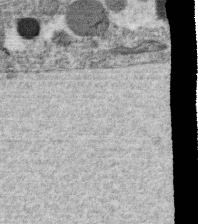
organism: C. elegans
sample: C. elegans oocyte; sperm cells